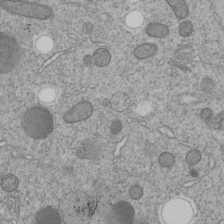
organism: C. elegans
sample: C. elegans embryo early stage